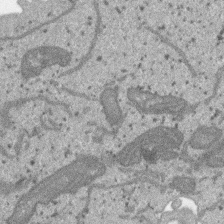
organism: Human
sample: Lung epithelial cells infected with SARS-CoV-2